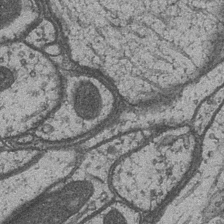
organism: Drosophila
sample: Optic medulla